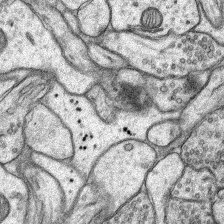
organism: Rat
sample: Hippocampus